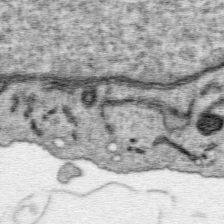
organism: Human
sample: HeLa cells